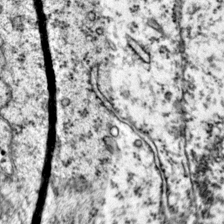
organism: Mouse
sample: Primary visual cortex